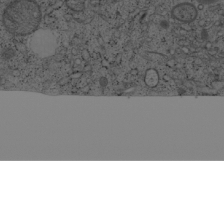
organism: African green monkey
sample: COS-7 cells